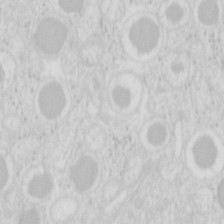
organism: Mouse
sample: Pancreas